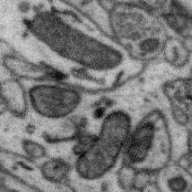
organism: Zebra finch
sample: Brain